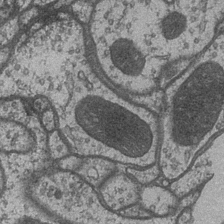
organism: Drosophila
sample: Optic medulla